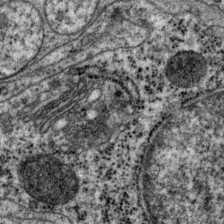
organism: P. pacificus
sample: Pharynx